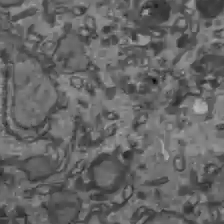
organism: C57BL Mouse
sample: Liver